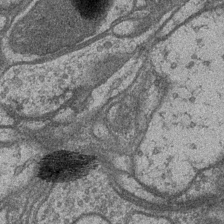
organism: Drosophila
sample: Optic medulla